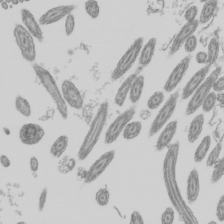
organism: Mouse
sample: Cilia; mouse epididymis